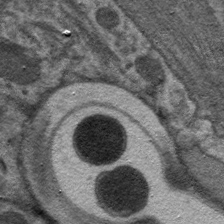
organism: C. elegans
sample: Pharynx